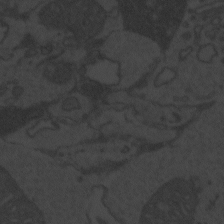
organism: Zebrafish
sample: Macrophage infected with Toxoplasma gondii